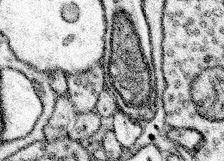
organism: Mouse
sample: Somatosensory cortex neuropil